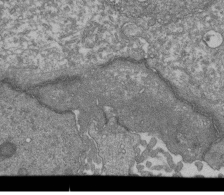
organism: Human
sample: Retinal organoid Rod and Cone cells